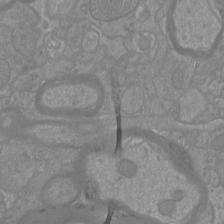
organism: Mouse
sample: Cortical neurons